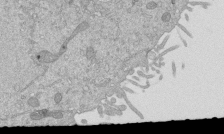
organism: Mouse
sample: ED-1 cell nuclei; centrioles